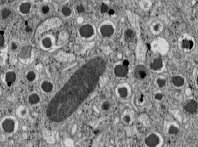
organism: C57BL Mouse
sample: Pancreatic islet